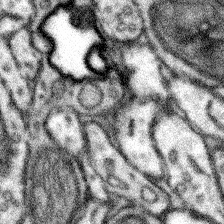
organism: Mouse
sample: Somatosensory cortex neuropil